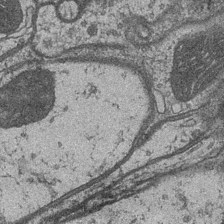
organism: Drosophila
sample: Optic medulla